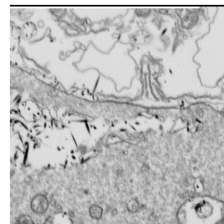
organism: Drosophila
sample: Cell division; meiosis; drosophila spermatocytes